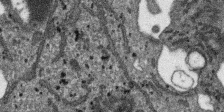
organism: Human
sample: Lung epithelial cells infected with SARS-CoV-2